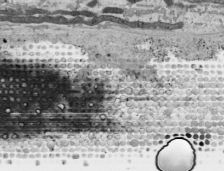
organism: Human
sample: Mitochondria in HCT116 cells